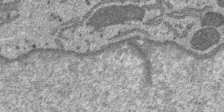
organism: Human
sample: Lung epithelial cells infected with SARS-CoV-2